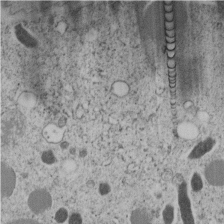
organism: C. elegans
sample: C. elegans embryo early stage